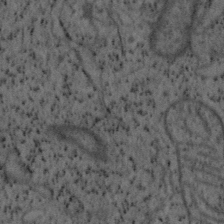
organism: Human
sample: HeLa cells